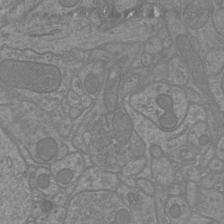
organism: Mouse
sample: Cortical neurons